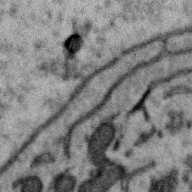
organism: Zebra finch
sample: Brain